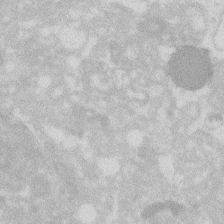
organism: Zebrafish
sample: Macrophage